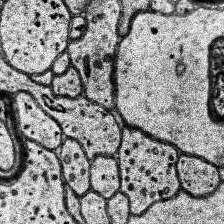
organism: Human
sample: Temporal Lobe